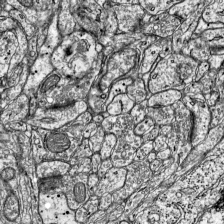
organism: Mouse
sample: Visual Cortex